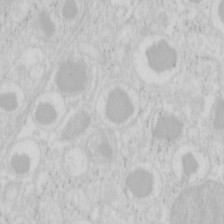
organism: Mouse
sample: Pancreas